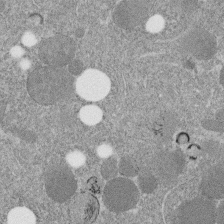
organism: C. elegans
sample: C. elegans embryo early stage